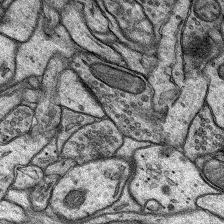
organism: Rat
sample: Hippocampus